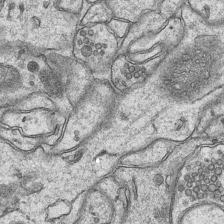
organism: Mouse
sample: CA1 Hippocampus